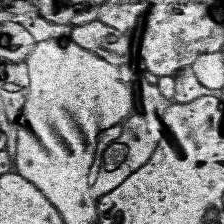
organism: Human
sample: Temporal Lobe